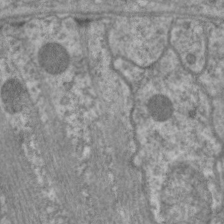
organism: C. elegans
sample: Pharynx